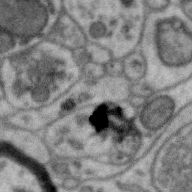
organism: Zebra finch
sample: Brain